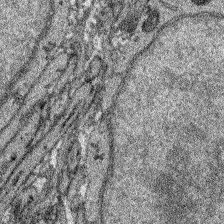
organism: Zebrafish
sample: Larval olfactory bulb